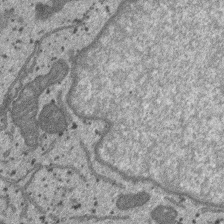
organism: Human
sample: Lung epithelial cells infected with SARS-CoV-2